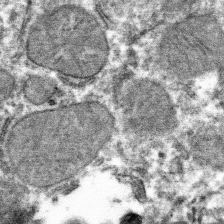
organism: Mouse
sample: Mouse hepatocytes